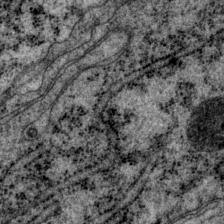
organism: P. pacificus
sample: Pharynx